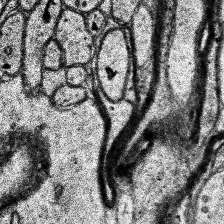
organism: Human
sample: Temporal Lobe